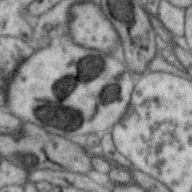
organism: Zebra finch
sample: Brain